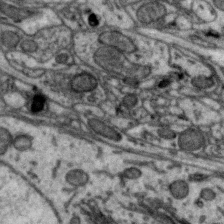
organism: Zebra finch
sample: Brain